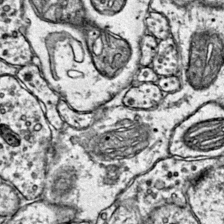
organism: Mouse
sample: Primary visual cortex